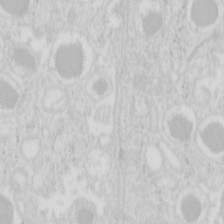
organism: Mouse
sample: Pancreas